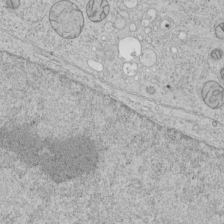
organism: Human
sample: Mitochondria in HCT116 cells